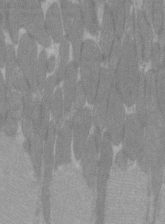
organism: C57BL Mouse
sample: Tibialis anterior muscle cell